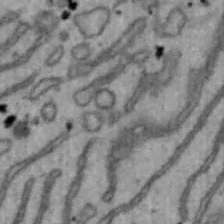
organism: Mouse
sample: Liver